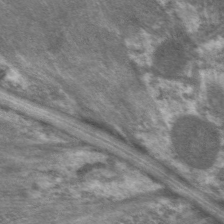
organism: C. elegans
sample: Pharynx